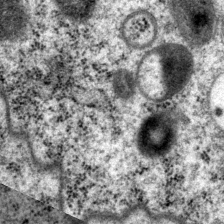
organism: P. pacificus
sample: Pharynx